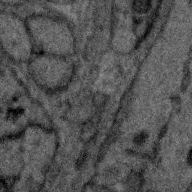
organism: Zebra finch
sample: Brain